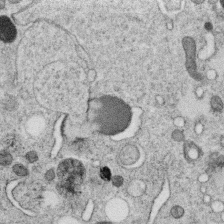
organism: C. elegans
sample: C. elegans oocyte; sperm cells